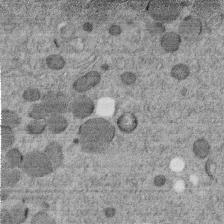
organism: C. elegans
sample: C. elegans embryo early stage